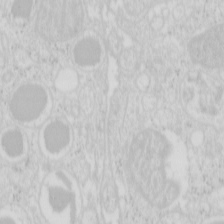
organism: Mouse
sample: Pancreas